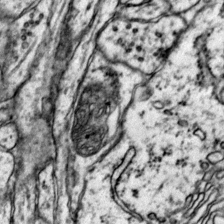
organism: Mouse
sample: Primary visual cortex